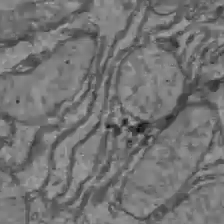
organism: C57BL Mouse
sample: Liver